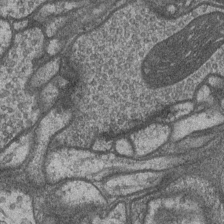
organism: Drosophila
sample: Optic medulla